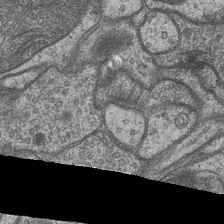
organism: Drosophila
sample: Optic medulla